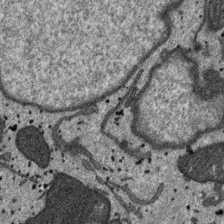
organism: Human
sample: Lung epithelial cells, uninfected (mock) control